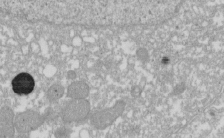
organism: Xenopus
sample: Cilia; centrioles in frog embryo cells